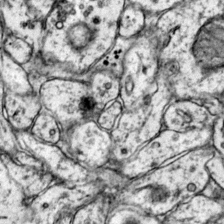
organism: Mouse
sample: Primary visual cortex